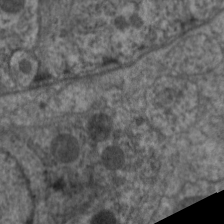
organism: C. elegans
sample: Pharynx